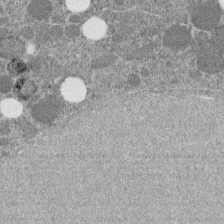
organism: C. elegans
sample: C. elegans embryo early stage